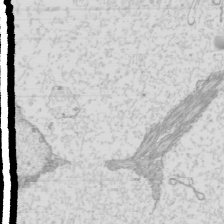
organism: Mouse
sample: Cilia; mouse epididymis